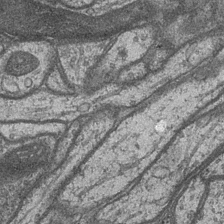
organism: Drosophila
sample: Optic medulla